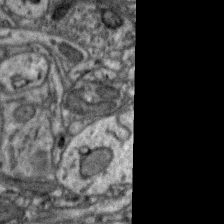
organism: Zebra finch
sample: Brain